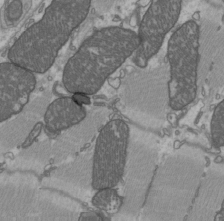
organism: C57BL Mouse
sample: Heart